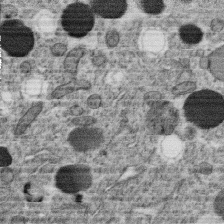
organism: C. elegans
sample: C. elegans oocyte; sperm cells